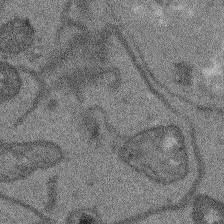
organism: Arabidopsis thaliana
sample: Root tip